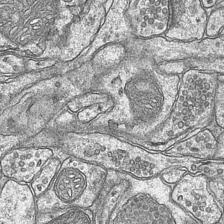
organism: Mouse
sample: CA1 Hippocampus